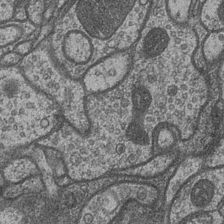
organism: Drosophila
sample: Optic medulla